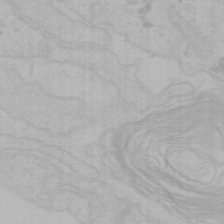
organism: Mouse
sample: Choroid plexus